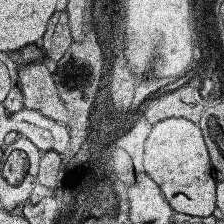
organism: Human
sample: Temporal Lobe